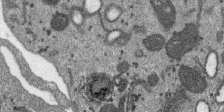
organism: Human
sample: Lung epithelial cells infected with SARS-CoV-2